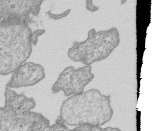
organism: Human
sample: MDA-MB-231 cells